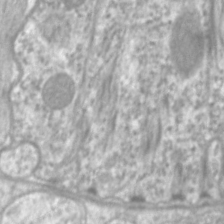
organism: C. elegans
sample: Pharynx